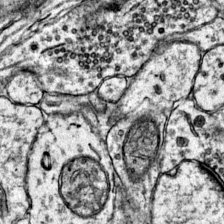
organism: Mouse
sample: Primary visual cortex